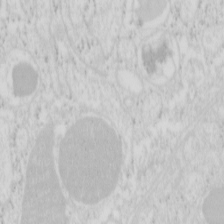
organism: Mouse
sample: Pancreas